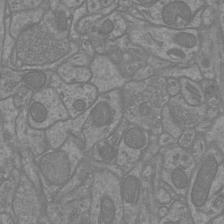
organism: Mouse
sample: Cortical neurons